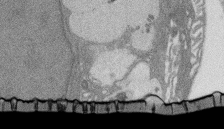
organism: Rat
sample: Salivary granule